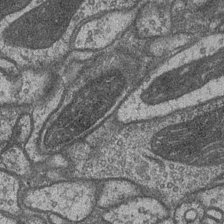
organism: Drosophila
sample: Optic medulla